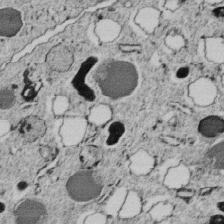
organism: C. elegans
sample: C. elegans embryo early stage